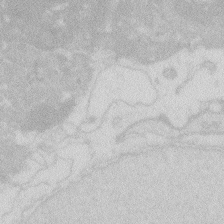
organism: Zebrafish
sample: Macrophage